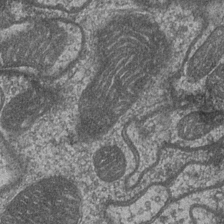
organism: Drosophila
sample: Optic medulla